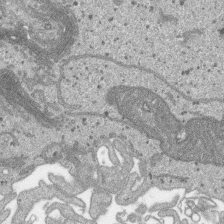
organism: Human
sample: Lung epithelial cells infected with SARS-CoV-2